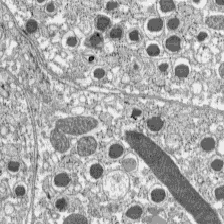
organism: C57BL Mouse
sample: Pancreatic islet